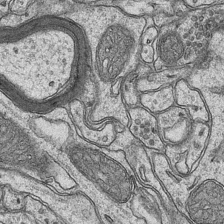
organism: Mouse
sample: CA1 Hippocampus